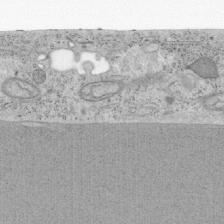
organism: Human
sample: HeLa cells